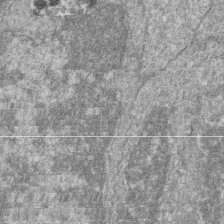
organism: Zebrafish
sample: Cilia; retinal pigment epithelium